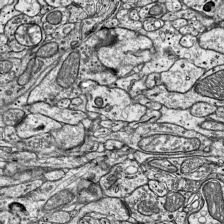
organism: Mouse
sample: Visual Cortex